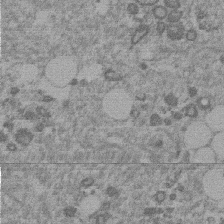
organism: Mouse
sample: Dividing mouse embryo 1 cell stage